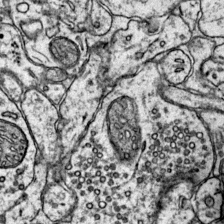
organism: Mouse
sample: Primary visual cortex